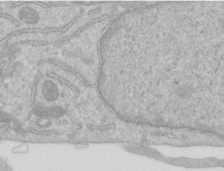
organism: Human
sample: Centriole in RPE cells